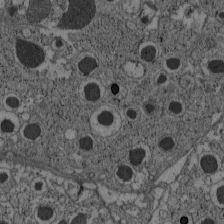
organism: C57BL Mouse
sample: Pancreatic islet